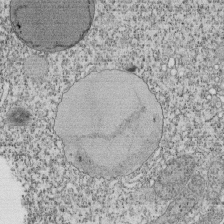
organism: Tetrahymena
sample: Cilia in tetrahymena